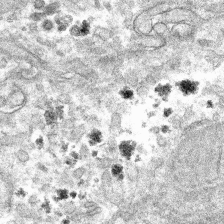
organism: Mouse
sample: Mouse hepatocytes